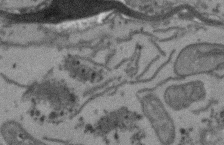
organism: Arabidopsis thaliana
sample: Root tip